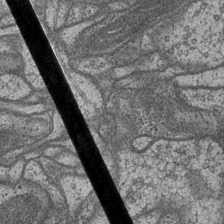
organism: Drosophila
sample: Optic medulla